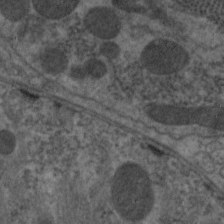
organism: C. elegans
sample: Pharynx